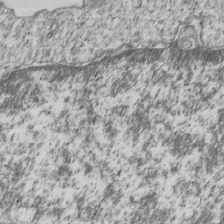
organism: Human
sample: MDA-MB-231 cells